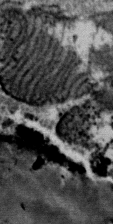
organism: Mouse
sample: Mouse Salivary gland